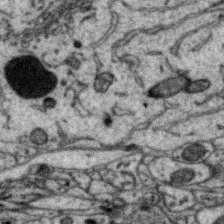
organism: Zebra finch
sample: Brain